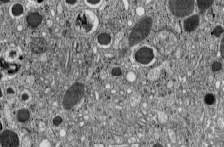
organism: C57BL Mouse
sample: Pancreatic islet